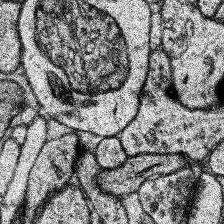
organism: Human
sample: Temporal Lobe